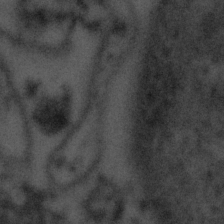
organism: Tuwongella immobilis